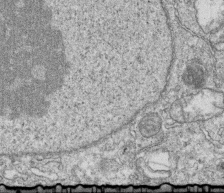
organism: Human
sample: HeLa cell HIV synapse